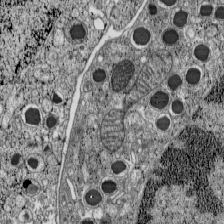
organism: C57BL Mouse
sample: Pancreatic islet